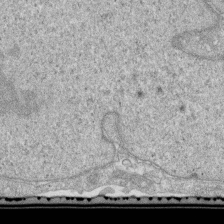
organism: Human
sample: HeLa cell HIV synapse